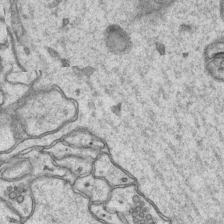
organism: Mouse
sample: CA1 Hippocampus